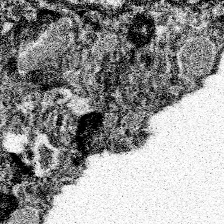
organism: Spongilla lacustris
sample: Neuroid cell